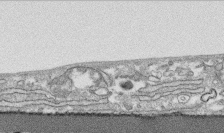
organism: Human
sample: CRL-1474